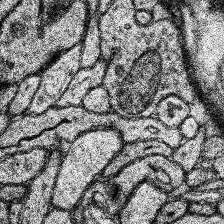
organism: Human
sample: Temporal Lobe